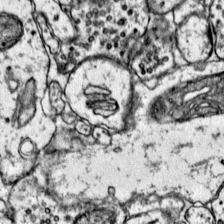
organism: Mouse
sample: Primary visual cortex